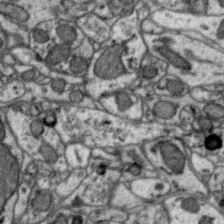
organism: Zebra finch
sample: Brain